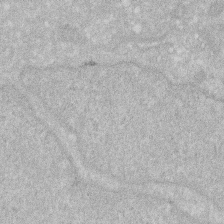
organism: Human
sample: HIV infected U937 cells